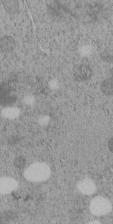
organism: C. elegans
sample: C. elegans embryo early stage